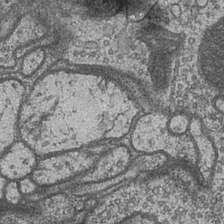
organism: Drosophila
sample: Optic medulla